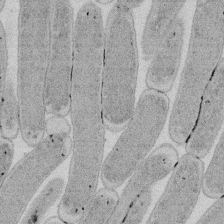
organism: E. coli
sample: Bacterial nucleoid